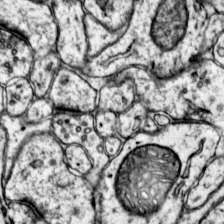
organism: Mouse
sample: Primary visual cortex